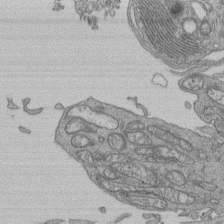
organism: Human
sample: Retinal organoid Rod and Cone cells